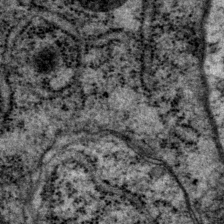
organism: P. pacificus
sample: Pharynx